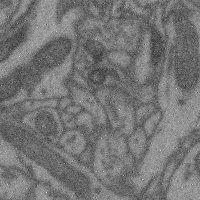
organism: Mouse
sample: Cerebral cortex